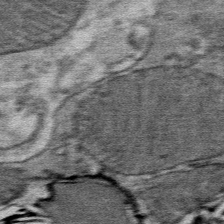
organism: Mouse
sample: Mouse Salivary gland